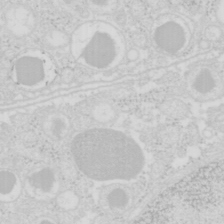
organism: Mouse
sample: Pancreas